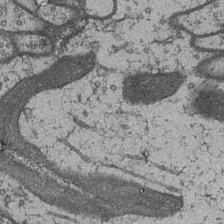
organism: Drosophila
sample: Optic medulla